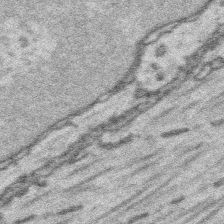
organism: Platynereis dumerilii